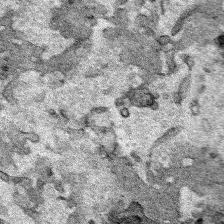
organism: Human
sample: Mitochondria in HCT116 cells